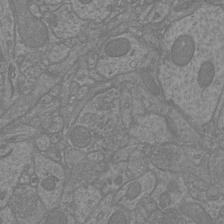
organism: Mouse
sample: Cortical neurons